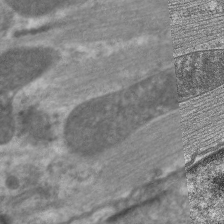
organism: C. elegans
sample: Pharynx